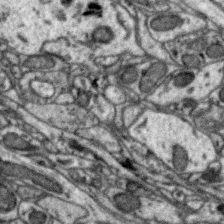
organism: Zebra finch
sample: Brain